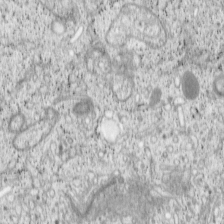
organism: African green monkey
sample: COS-7 cells